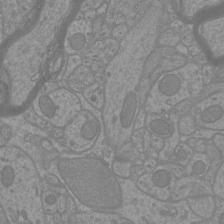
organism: Mouse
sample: Cortical neurons